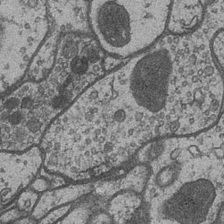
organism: Drosophila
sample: Optic medulla